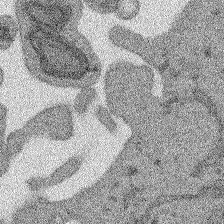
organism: Human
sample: HeLa cells